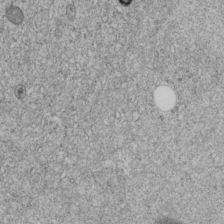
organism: C. elegans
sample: C. elegans embryo early stage